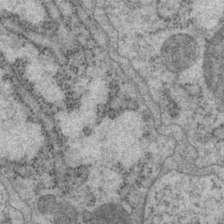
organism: P. pacificus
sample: Pharynx